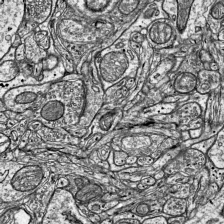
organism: Mouse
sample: Visual Cortex